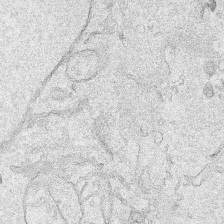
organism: Human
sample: Mitochondria in HCT116 cells